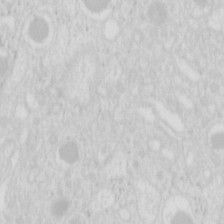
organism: Mouse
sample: Pancreas